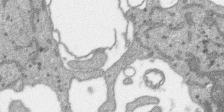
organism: Human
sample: Lung epithelial cells infected with SARS-CoV-2